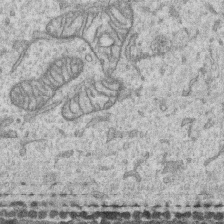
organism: Human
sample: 1205lu cells